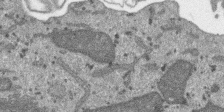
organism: Human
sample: Lung epithelial cells infected with SARS-CoV-2